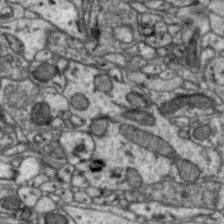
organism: Zebra finch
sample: Brain